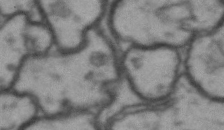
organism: Drosophila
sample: Brain